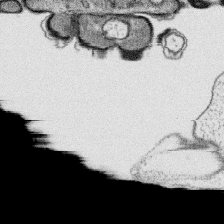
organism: Platynereis dumerilii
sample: Parapodia